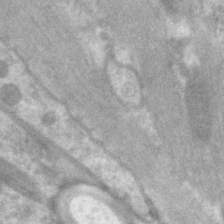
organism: C. elegans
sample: Pharynx